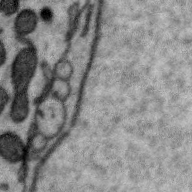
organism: Zebra finch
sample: Brain